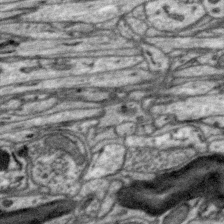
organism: Zebra finch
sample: Brain